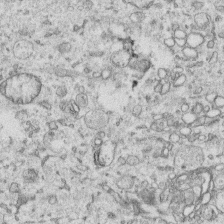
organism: Human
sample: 1205lu cells